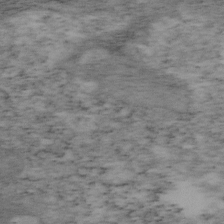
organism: Mouse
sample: OT-I killer T cells with ID8 ovarian cancer cells